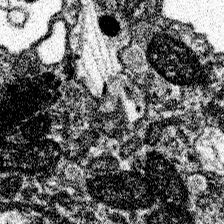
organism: Spongilla lacustris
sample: Neuroid cell